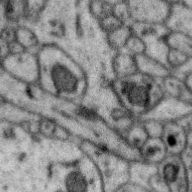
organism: Zebra finch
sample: Brain